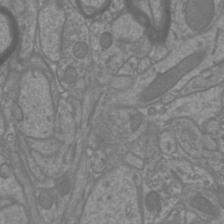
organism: Mouse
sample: Cortical neurons